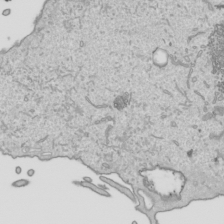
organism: Human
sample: Mitochondria in HCT116 cells